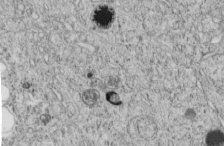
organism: C. elegans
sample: C. elegans embryo early stage